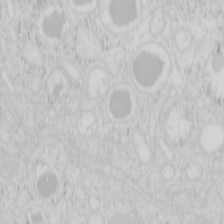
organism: Mouse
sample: Pancreas